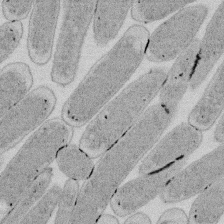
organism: E. coli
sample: Bacterial nucleoid